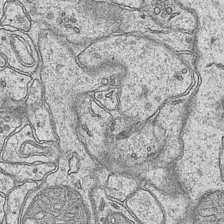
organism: Mouse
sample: CA1 Hippocampus